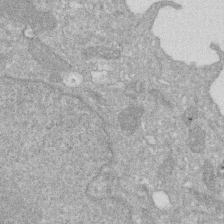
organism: Human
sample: HIV infected U937 cells